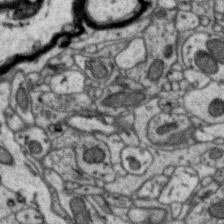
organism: Zebra finch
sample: Brain